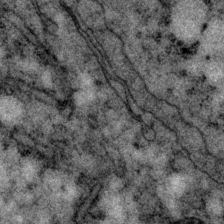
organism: P. pacificus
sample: Pharynx